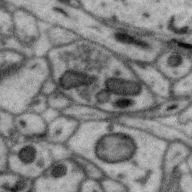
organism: Zebra finch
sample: Brain